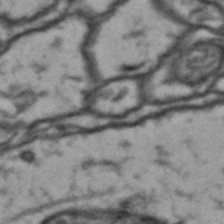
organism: Drosophila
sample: Brain